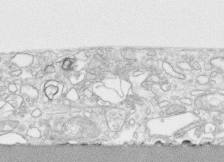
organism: Human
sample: CRL-1474